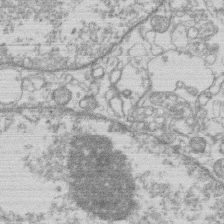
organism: Human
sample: Macrophage cells